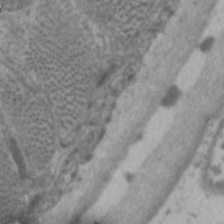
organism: C. elegans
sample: Pharynx